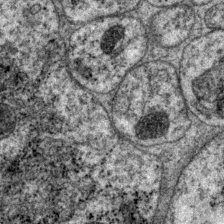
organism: P. pacificus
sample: Pharynx